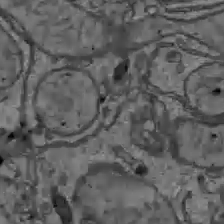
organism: C57BL Mouse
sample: Liver